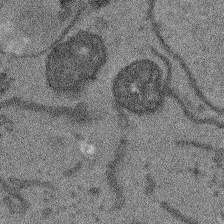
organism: Arabidopsis thaliana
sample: Root tip